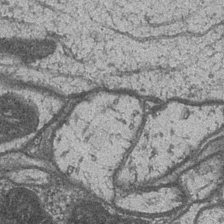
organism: Drosophila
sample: Optic medulla